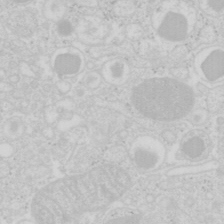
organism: Mouse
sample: Pancreas